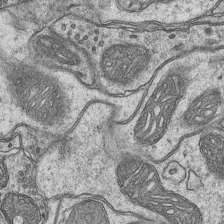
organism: Mouse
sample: CA1 Hippocampus